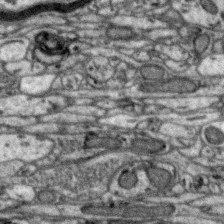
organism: Zebra finch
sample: Brain